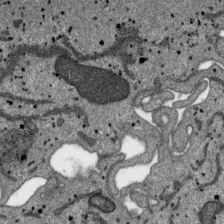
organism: Human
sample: Lung epithelial cells, uninfected (mock) control